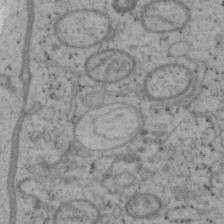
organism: Human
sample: HeLa cells